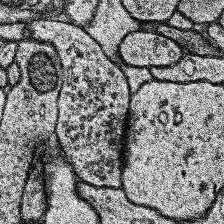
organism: Human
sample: Temporal Lobe